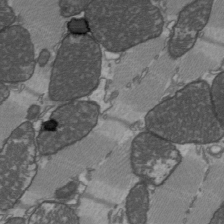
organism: C57BL Mouse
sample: Heart